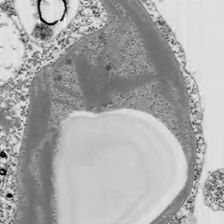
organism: Chlamydomonas reinhardtii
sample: Whole Cell